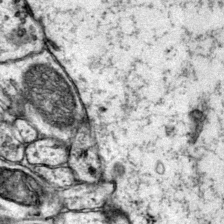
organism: Mouse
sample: Primary visual cortex